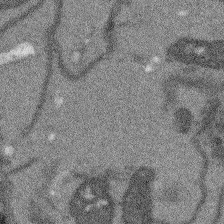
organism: Arabidopsis thaliana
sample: Root tip